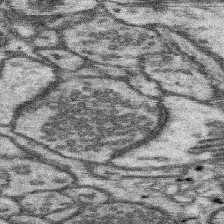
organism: Mouse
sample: Somatosensory cortex neuropil